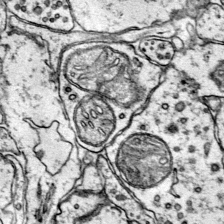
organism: Mouse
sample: Primary visual cortex